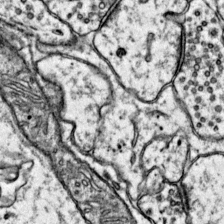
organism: Mouse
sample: Primary visual cortex